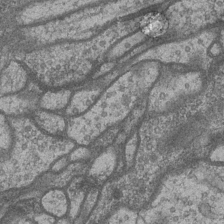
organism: Drosophila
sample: Optic medulla